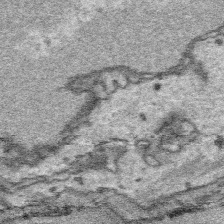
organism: Platynereis dumerilii